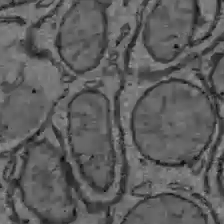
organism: C57BL Mouse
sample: Liver